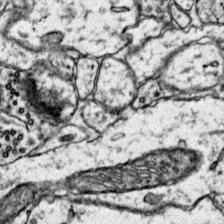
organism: Mouse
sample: Primary visual cortex